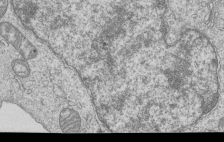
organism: Human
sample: MDA-MB-231 cells